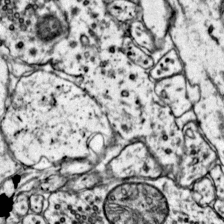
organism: Mouse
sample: Primary visual cortex